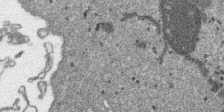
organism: Human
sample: Lung epithelial cells infected with SARS-CoV-2